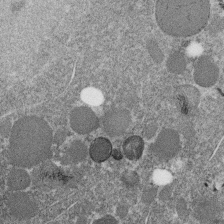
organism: C. elegans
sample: C. elegans embryo early stage